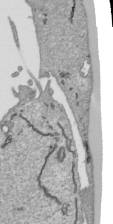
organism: Human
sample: Mitochondria in HCT116 cells